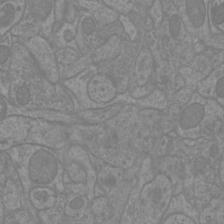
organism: Mouse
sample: Cortical neurons